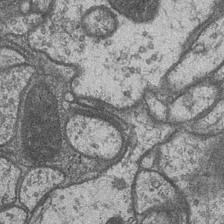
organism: Drosophila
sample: Optic medulla